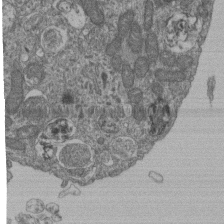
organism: Human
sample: Retinal organoid Rod and Cone cells